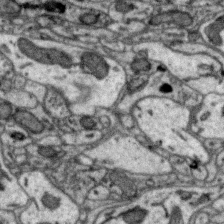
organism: Zebra finch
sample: Brain